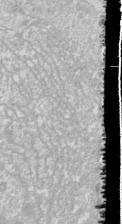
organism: Drosophila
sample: Cell division; meiosis; drosophila spermatocytes